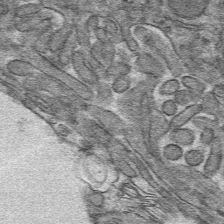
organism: Mouse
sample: Mouse hepatocytes